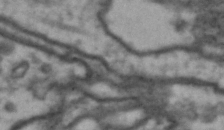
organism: Drosophila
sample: Brain